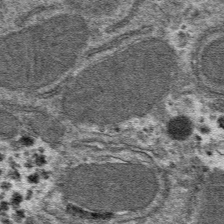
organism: Mouse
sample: Mouse hepatocytes